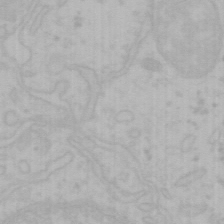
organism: Mouse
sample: Choroid plexus